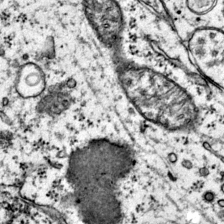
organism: Mouse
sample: Primary visual cortex